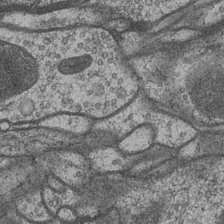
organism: Drosophila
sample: Optic medulla